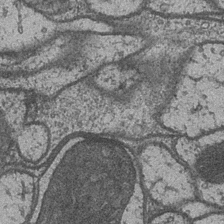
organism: Drosophila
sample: Optic medulla